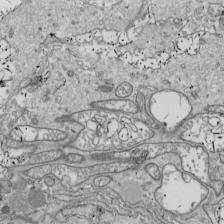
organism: Drosophila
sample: Cell division; meiosis; drosophila spermatocytes